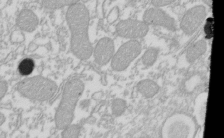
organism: Xenopus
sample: Cilia; centrioles in frog embryo cells